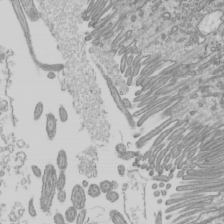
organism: Mouse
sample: Cilia; mouse epididymis